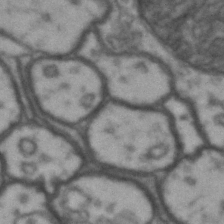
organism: Drosophila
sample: Brain